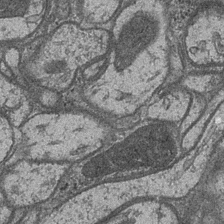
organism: Drosophila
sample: Optic medulla